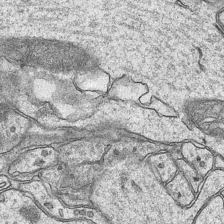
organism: Mouse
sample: CA1 Hippocampus